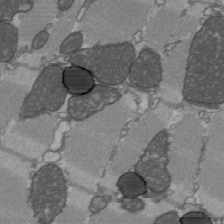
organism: C57BL Mouse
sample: Heart